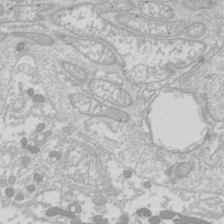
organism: Drosophila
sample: Cell division; meiosis; drosophila spermatocytes